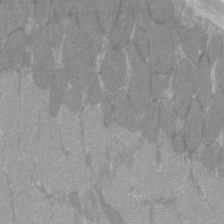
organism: C57BL Mouse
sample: Tibialis anterior muscle cell